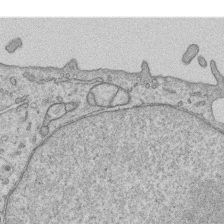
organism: Human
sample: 1205lu cells